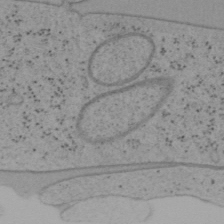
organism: Human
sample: HeLa cells